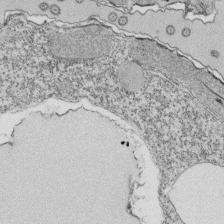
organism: Tetrahymena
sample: Cilia in tetrahymena